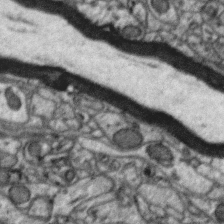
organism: Zebra finch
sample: Brain